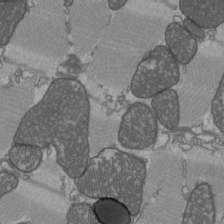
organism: C57BL Mouse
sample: Heart